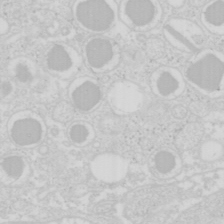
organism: Mouse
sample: Pancreas